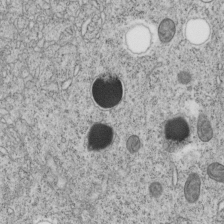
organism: C. elegans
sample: C. elegans embryo early stage